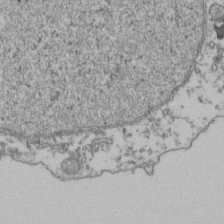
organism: Human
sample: Activated Jurkat CD4+ T cells